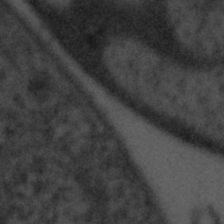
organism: Tuwongella immobilis